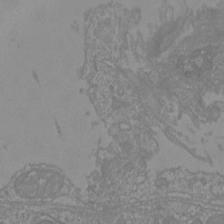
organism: Mouse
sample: Cortical neurons